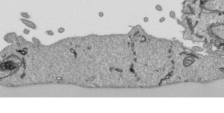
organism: Human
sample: Mitochondria in HCT116 cells